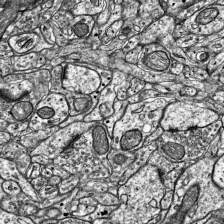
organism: Mouse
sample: Visual Cortex